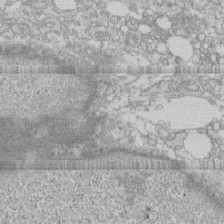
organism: Human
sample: CRL-1474